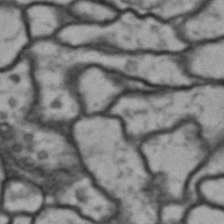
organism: Drosophila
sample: Brain